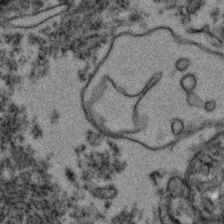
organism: Zebrafish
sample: Zebrafish embryo